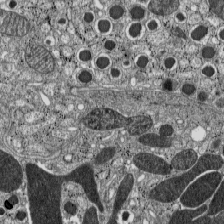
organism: C57BL Mouse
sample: Pancreatic islet